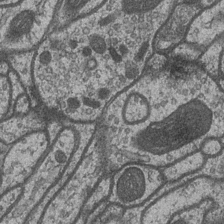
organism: Drosophila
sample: Optic medulla